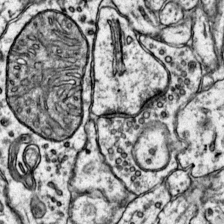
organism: Mouse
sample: Primary visual cortex